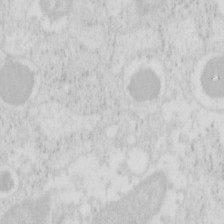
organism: Mouse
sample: Pancreas